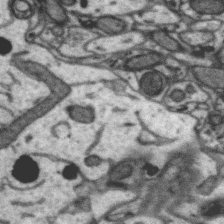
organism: Zebra finch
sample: Brain